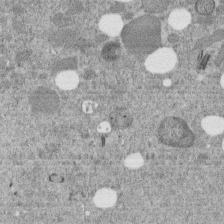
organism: C. elegans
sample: C. elegans embryo early stage